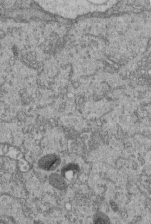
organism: Human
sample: Retinal organoid Rod and Cone cells